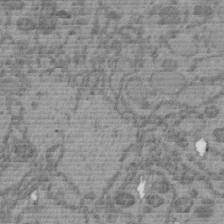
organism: C. elegans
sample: C. elegans embryo early stage